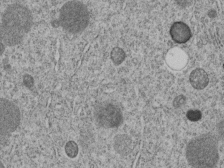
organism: C. elegans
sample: C. elegans embryo early stage